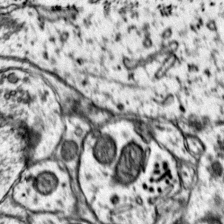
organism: Mouse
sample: Primary visual cortex